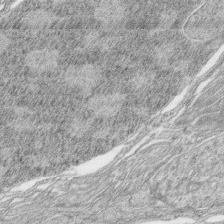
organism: Zebrafish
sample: synaptic ribbons in rod cells and cone cells